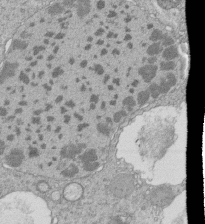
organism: Tetrahymena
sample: Cilia in tetrahymena